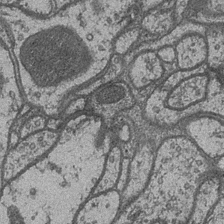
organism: Drosophila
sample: Optic medulla